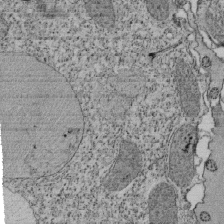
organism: Tetrahymena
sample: Cilia in tetrahymena